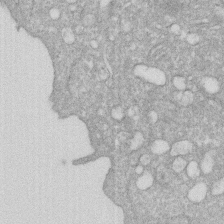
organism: Human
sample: HIV infected U937 cells